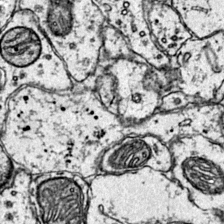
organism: Mouse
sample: Primary visual cortex